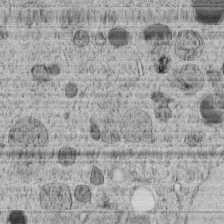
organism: C. elegans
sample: C. elegans embryo early stage